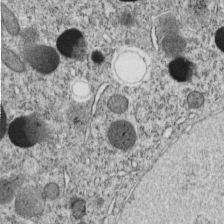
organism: C. elegans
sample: C. elegans embryo early stage